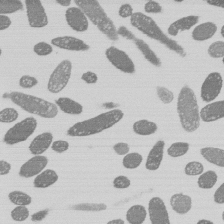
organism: E. coli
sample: Bacterial nucleoid